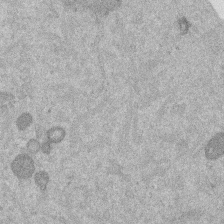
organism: Mouse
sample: Dividing mouse embryo 1 cell stage